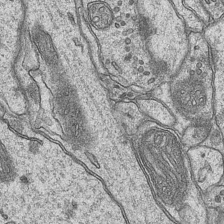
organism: Mouse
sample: CA1 Hippocampus